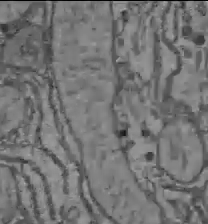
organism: C57BL Mouse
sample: Liver